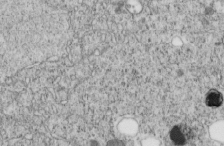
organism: C. elegans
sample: C. elegans embryo early stage